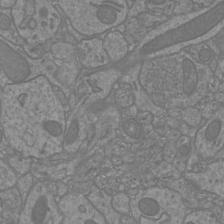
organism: Mouse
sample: Cortical neurons